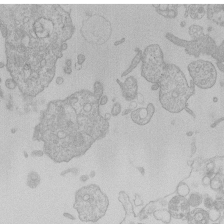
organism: Human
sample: Macrophage cells